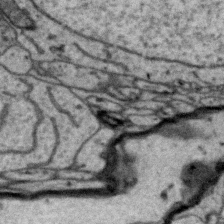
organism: Zebra finch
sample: Brain